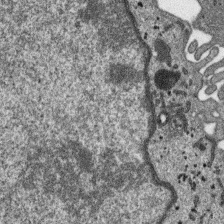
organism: Human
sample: Lung epithelial cells infected with SARS-CoV-2